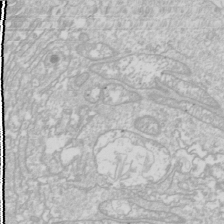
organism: Drosophila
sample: Cell division; meiosis; drosophila spermatocytes